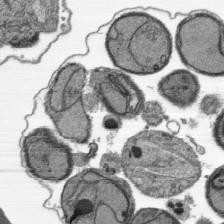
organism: Plasmodium falciparum